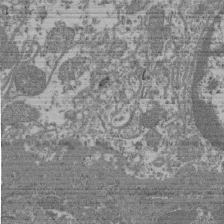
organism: Mouse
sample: Glomerulus